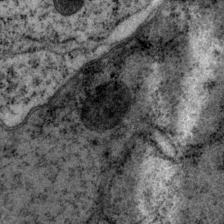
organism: P. pacificus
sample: Pharynx